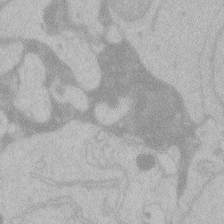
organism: Zebrafish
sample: Macrophage infected with Toxoplasma gondii